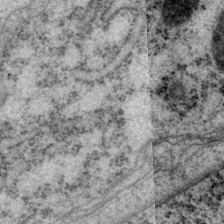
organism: P. pacificus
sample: Pharynx